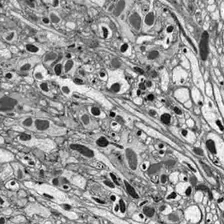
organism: Drosophila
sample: Optic lobe